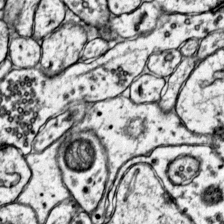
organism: Mouse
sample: Primary visual cortex